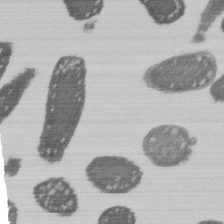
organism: E. coli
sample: Bacterial nucleoid